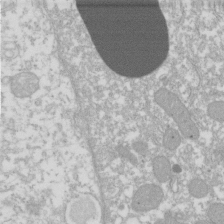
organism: Xenopus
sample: Cilia; centrioles in frog embryo cells